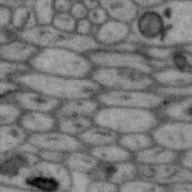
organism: Zebra finch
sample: Brain